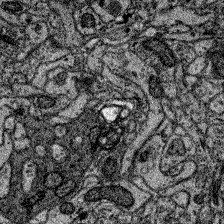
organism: Zebrafish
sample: Larval olfactory bulb